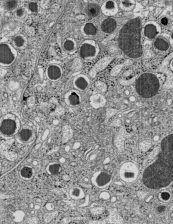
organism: C57BL Mouse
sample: Pancreatic islet